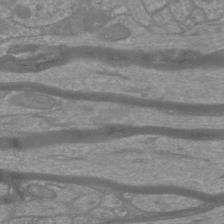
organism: Mouse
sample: Cortical neurons